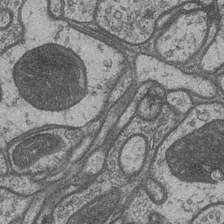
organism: Drosophila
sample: Optic medulla